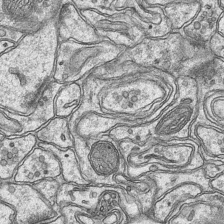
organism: Mouse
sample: CA1 Hippocampus